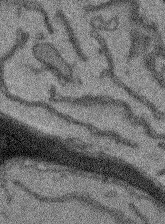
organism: Arabidopsis thaliana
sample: Root tip